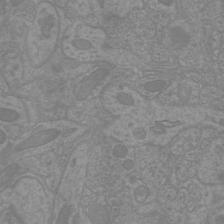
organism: Mouse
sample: Cortical neurons